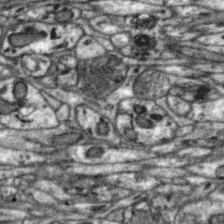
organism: Zebra finch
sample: Brain